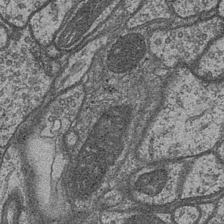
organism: Drosophila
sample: Optic medulla